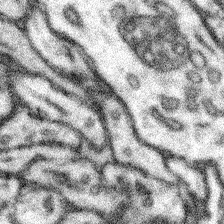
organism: Mouse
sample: Somatosensory cortex neuropil